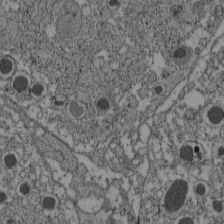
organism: C57BL Mouse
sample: Pancreatic islet